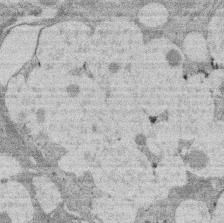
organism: Rat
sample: Salivary granule